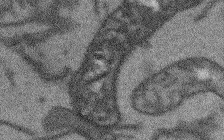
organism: Arabidopsis thaliana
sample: Root tip